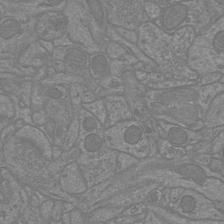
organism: Mouse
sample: Cortical neurons